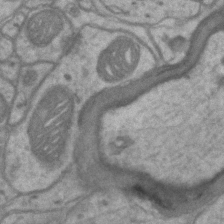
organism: Mouse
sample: CA1 Hippocampus